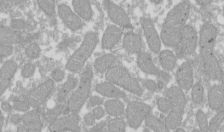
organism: Xenopus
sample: Cilia; centrioles in frog embryo cells